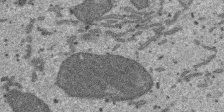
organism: Human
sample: Lung epithelial cells infected with SARS-CoV-2